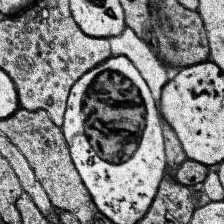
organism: Human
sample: Temporal Lobe